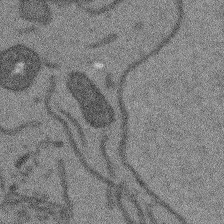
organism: Arabidopsis thaliana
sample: Root tip